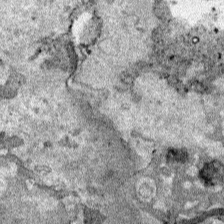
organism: Human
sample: Mitochondria in HCT116 cells